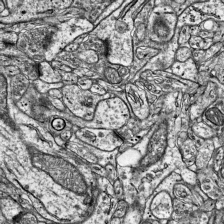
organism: Mouse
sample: Visual Cortex